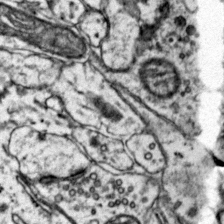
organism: Mouse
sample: Primary visual cortex